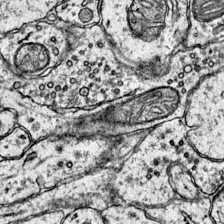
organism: Mouse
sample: Primary visual cortex